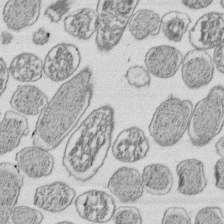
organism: E. coli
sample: Bacterial nucleoid